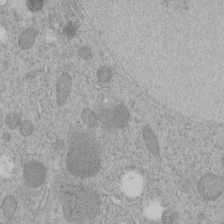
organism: C. elegans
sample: C. elegans embryo early stage